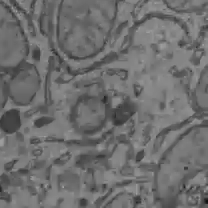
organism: C57BL Mouse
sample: Liver